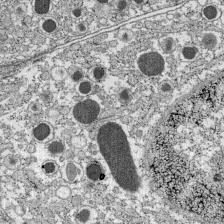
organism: C57BL Mouse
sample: Pancreatic islet